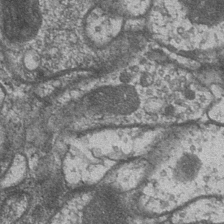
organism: Drosophila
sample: Optic medulla